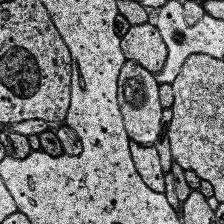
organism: Human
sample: Temporal Lobe